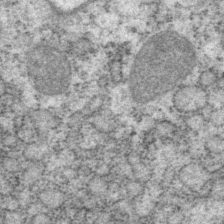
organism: P. pacificus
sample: Pharynx